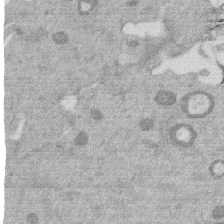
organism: Mouse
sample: Dividing mouse embryo 1 cell stage